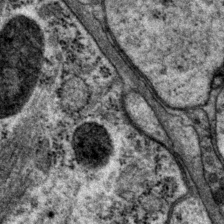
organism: P. pacificus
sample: Pharynx